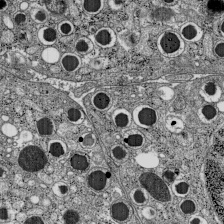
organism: C57BL Mouse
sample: Pancreatic islet